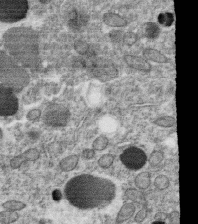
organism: C. elegans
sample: C. elegans oocyte; sperm cells